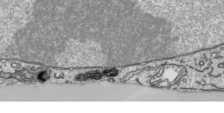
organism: Human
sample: Mitochondria in HCT116 cells